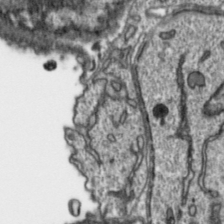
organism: Toxoplasma gondii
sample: Parasites in a vacuole inside a host cell